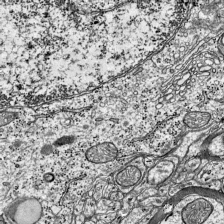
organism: Mouse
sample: Visual Cortex